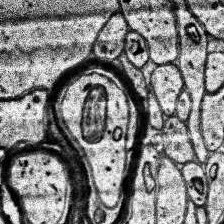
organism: Human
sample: Temporal Lobe